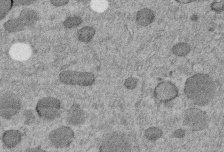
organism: C. elegans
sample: C. elegans embryo early stage